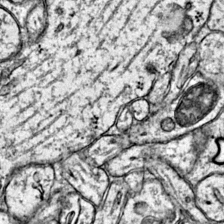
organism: Mouse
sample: Primary visual cortex